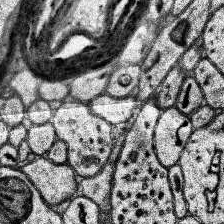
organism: Human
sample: Temporal Lobe